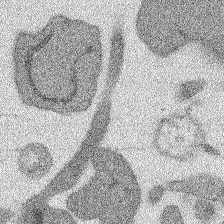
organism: Human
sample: HeLa cells